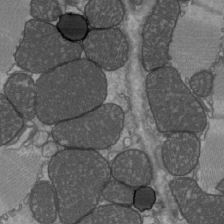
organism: C57BL Mouse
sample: Heart